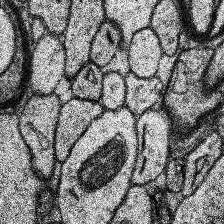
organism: Human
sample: Temporal Lobe